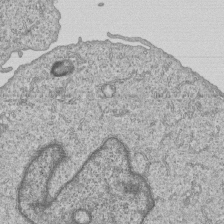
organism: Human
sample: MDA-MB-231 cells